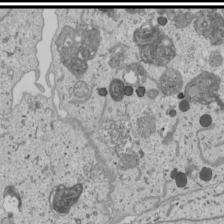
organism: Human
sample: Mitochondria in U2OS cells